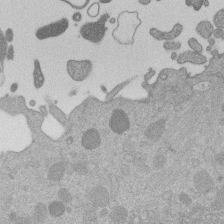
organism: Mouse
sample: Dividing mouse embryo 1 cell stage